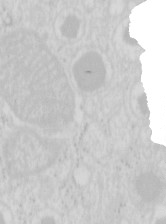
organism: Mouse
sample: Pancreas